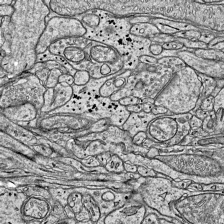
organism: Mouse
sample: Visual Cortex